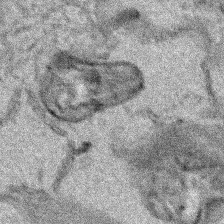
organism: Human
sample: Mitochondria in HCT116 cells